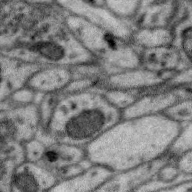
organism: Zebra finch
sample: Brain